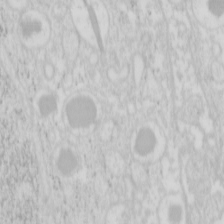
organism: Mouse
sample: Pancreas